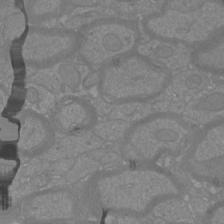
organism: Mouse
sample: Cortical neurons